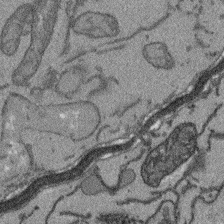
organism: Arabidopsis thaliana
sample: Root tip